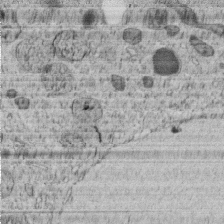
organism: C. elegans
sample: C. elegans embryo early stage